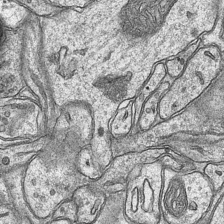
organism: Mouse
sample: CA1 Hippocampus